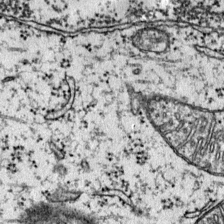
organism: Mouse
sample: Primary visual cortex